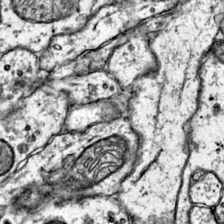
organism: Mouse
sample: Primary visual cortex